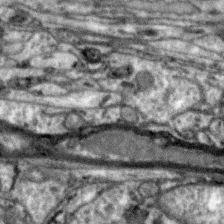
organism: Zebra finch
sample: Brain